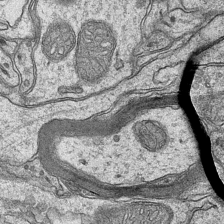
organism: Mouse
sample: CA1 Hippocampus